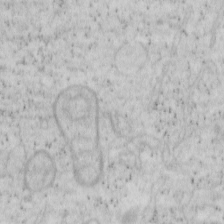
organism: Human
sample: HeLa cells